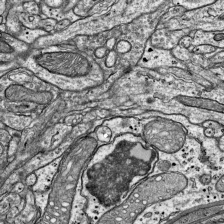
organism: Mouse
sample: Visual Cortex